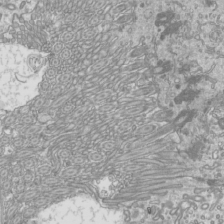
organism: Mouse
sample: Cilia; mouse epididymis